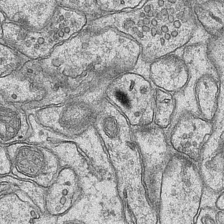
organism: Mouse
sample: CA1 Hippocampus